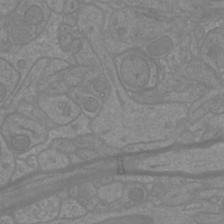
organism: Mouse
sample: Cortical neurons